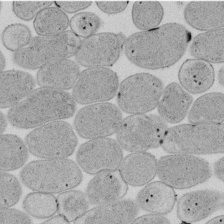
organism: E. coli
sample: Bacterial nucleoid